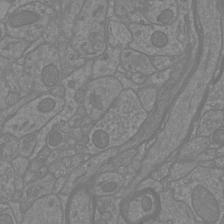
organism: Mouse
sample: Cortical neurons